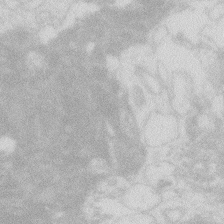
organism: Zebrafish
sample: Macrophage